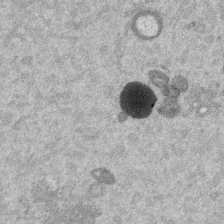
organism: Mouse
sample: Dividing mouse embryo 1 cell stage